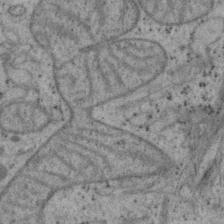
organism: Human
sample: HeLa cells